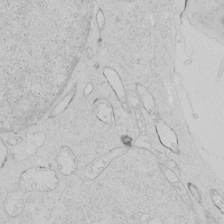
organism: Human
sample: Mitochondria in HCT116 cells